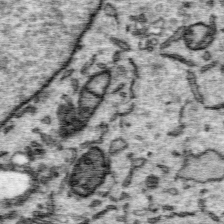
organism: Human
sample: HeLa cells